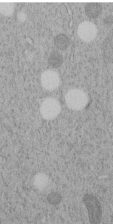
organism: C. elegans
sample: C. elegans embryo early stage